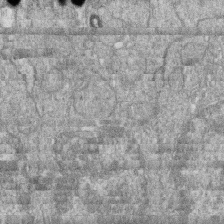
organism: Zebrafish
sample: Cilia; retinal pigment epithelium